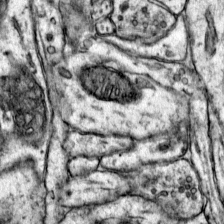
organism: Mouse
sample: Primary visual cortex